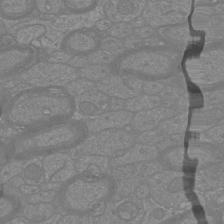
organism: Mouse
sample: Cortical neurons